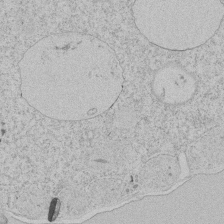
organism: Tetrahymena